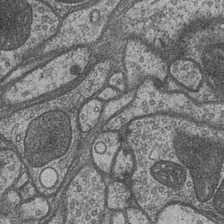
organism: Drosophila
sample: Optic medulla